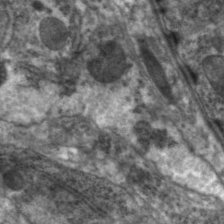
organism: C. elegans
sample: Pharynx